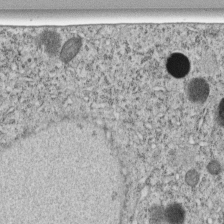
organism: C. elegans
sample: C. elegans embryo early stage